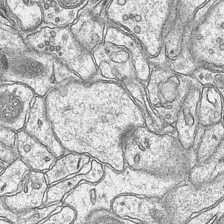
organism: Mouse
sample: CA1 Hippocampus